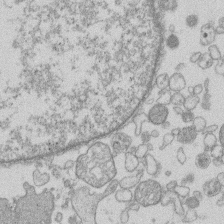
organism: Human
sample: Macrophage cells